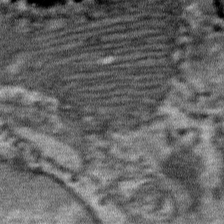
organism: Mouse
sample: Mouse Salivary gland